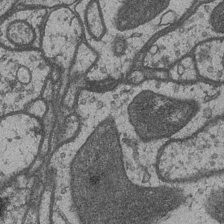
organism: Drosophila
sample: Optic medulla